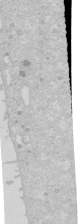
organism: Human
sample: Caco-2 cells